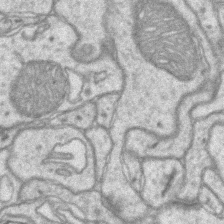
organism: Mouse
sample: CA1 Hippocampus